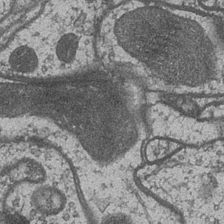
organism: Drosophila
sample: Optic medulla